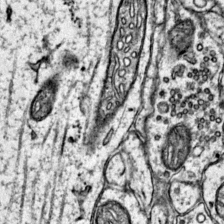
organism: Mouse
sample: Primary visual cortex